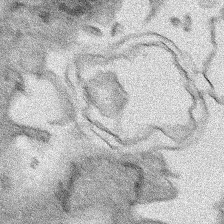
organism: Human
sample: Mitochondria in HCT116 cells